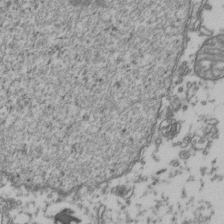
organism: Human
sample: Activated Jurkat CD4+ T cells